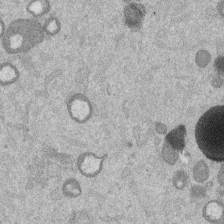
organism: Mouse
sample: Dividing mouse embryo 1 cell stage